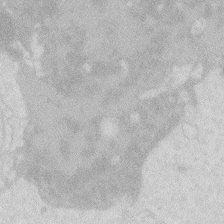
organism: Zebrafish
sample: Macrophage